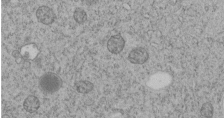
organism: C. elegans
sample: C. elegans embryo early stage